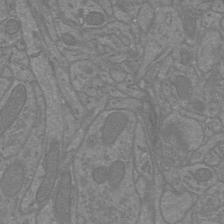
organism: Mouse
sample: Cortical neurons